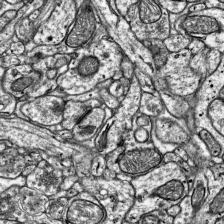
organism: Mouse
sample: Visual Cortex